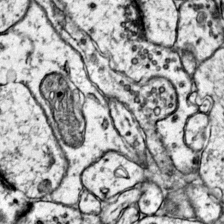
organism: Mouse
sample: Primary visual cortex